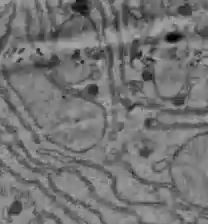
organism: C57BL Mouse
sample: Liver